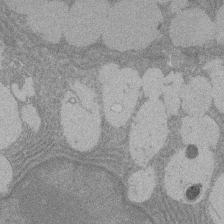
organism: Rat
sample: Salivary granule